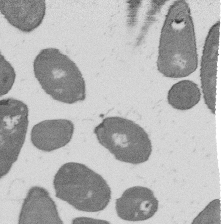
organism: B. subtilis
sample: Bacterial spore